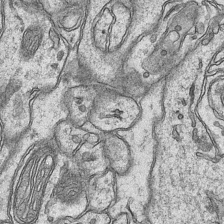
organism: Mouse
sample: CA1 Hippocampus